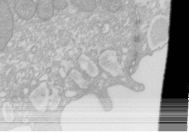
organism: Xenopus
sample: Cilia; centrioles in frog embryo cells